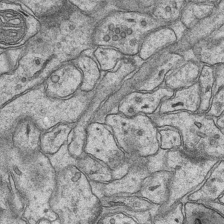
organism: Mouse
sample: CA1 Hippocampus